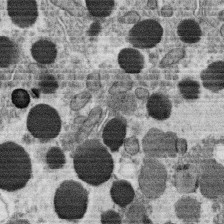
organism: C. elegans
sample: C. elegans oocyte; sperm cells